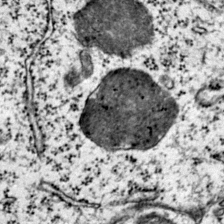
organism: Mouse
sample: Primary visual cortex